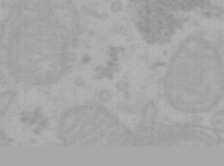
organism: Mouse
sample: Choroid plexus